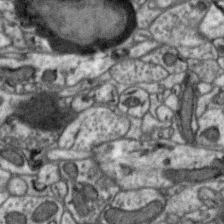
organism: Zebra finch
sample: Brain